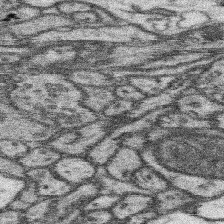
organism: Mouse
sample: Somatosensory cortex neuropil